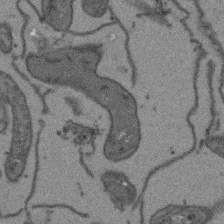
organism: Arabidopsis thaliana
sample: Root tip